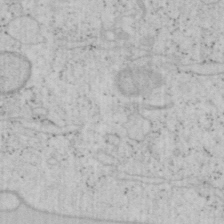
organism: Human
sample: HeLa cells